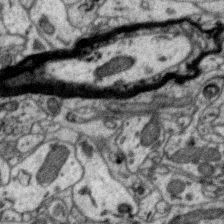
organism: Zebra finch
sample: Brain